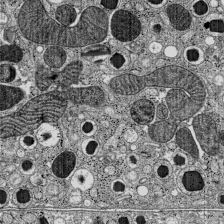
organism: C57BL Mouse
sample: Pancreatic islet